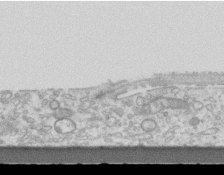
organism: Mouse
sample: Centriole in ependymal cells